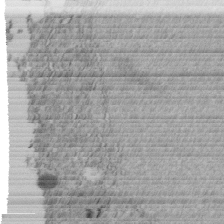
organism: C. elegans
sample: C. elegans embryo early stage